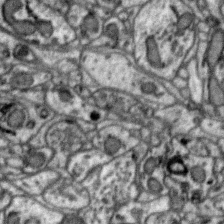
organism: Zebra finch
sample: Brain